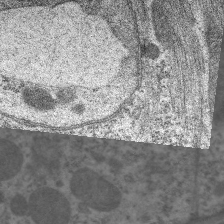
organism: C. elegans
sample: Pharynx